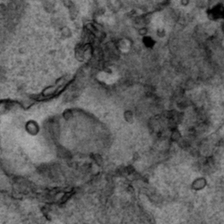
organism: Human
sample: Mitochondria in HCT116 cells